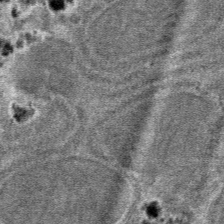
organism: Mouse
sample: Mouse hepatocytes